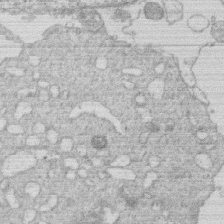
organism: Human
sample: Macrophage cells